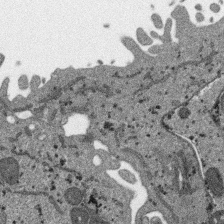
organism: Human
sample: Lung epithelial cells infected with SARS-CoV-2